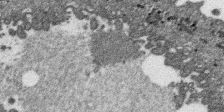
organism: Human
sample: Lung epithelial cells infected with SARS-CoV-2